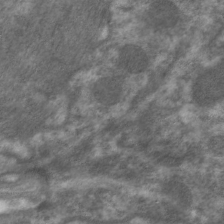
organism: C. elegans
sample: Pharynx